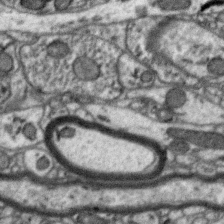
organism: Zebra finch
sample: Brain